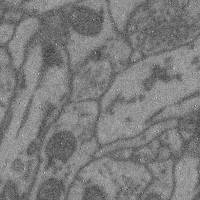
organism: Mouse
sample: Cerebral cortex